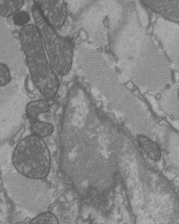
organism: C57BL Mouse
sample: Heart